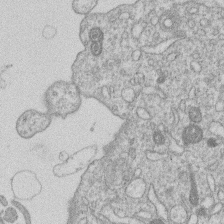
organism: Human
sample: Macrophage cells